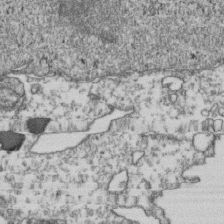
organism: Human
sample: Activated Jurkat CD4+ T cells